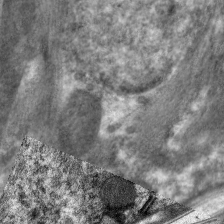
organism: C. elegans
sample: Pharynx